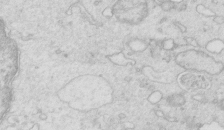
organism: Mouse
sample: Multiciliated cells